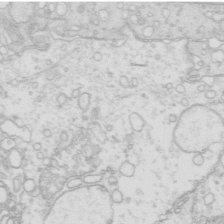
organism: Mouse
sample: Multiciliated cells